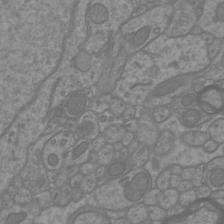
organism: Mouse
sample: Cortical neurons